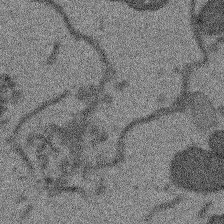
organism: Arabidopsis thaliana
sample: Root tip